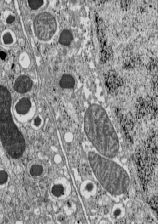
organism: C57BL Mouse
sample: Pancreatic islet